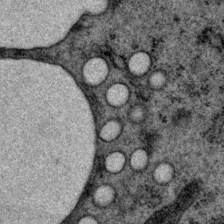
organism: P. pacificus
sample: Pharynx